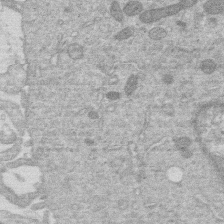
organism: Human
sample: Macrophage cells